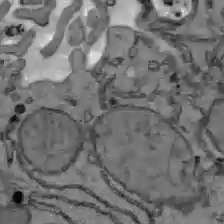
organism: C57BL Mouse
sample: Liver